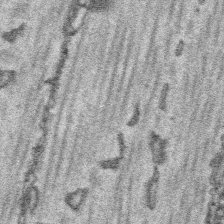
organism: Platynereis dumerilii